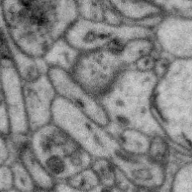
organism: Zebra finch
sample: Brain